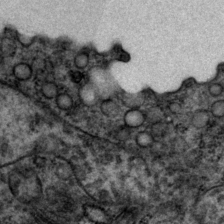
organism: P. pacificus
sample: Pharynx